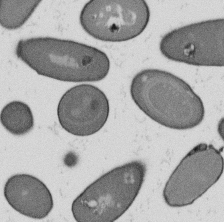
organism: B. subtilis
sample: Bacterial spore